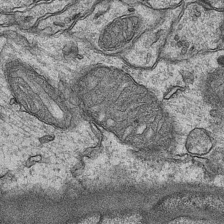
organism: Mouse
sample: CA1 Hippocampus